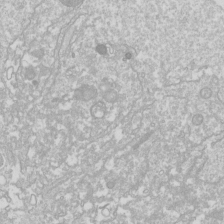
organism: Drosophila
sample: Cell division; meiosis; drosophila spermatocytes